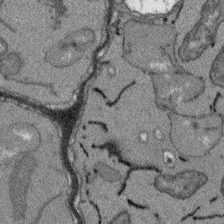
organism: Arabidopsis thaliana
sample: Root tip